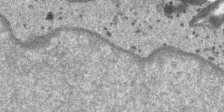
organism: Human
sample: Lung epithelial cells infected with SARS-CoV-2